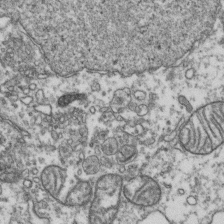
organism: Human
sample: Activated Jurkat CD4+ T cells